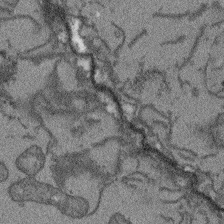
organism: Arabidopsis thaliana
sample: Root tip